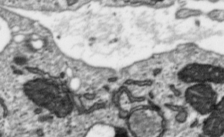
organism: Toxoplasma gondii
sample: Parasites in a vacuole inside a host cell